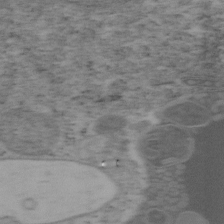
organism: Mouse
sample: OT-I killer T cells with ID8 ovarian cancer cells